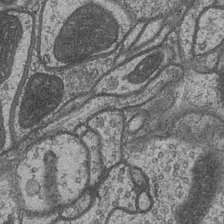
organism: Drosophila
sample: Optic medulla